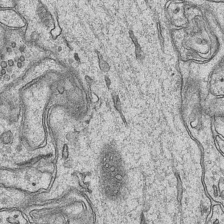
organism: Mouse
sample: CA1 Hippocampus